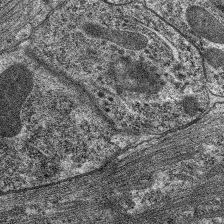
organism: C. elegans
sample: Pharynx